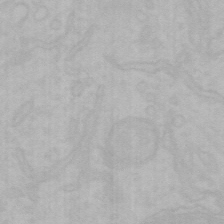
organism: Mouse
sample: Choroid plexus